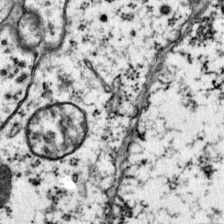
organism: Mouse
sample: Primary visual cortex